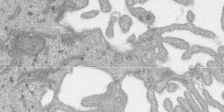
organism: Human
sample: Lung epithelial cells infected with SARS-CoV-2